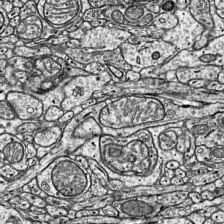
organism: Mouse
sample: Visual Cortex